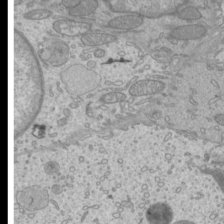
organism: Mouse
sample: Cilia; mouse epididymis